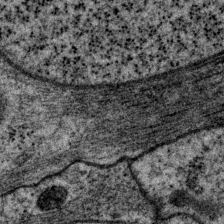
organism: P. pacificus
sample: Pharynx